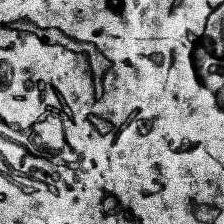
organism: Human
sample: Temporal Lobe